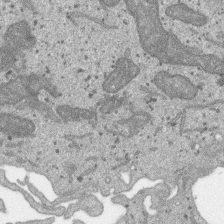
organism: Human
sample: Lung epithelial cells infected with SARS-CoV-2